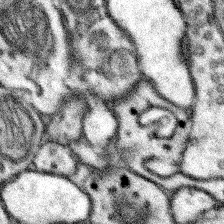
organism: Mouse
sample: Somatosensory cortex neuropil